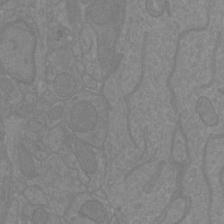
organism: Mouse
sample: Cortical neurons